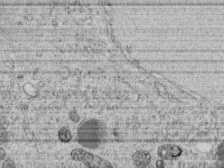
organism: C. elegans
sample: C. elegans embryo early stage